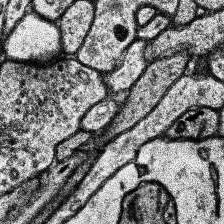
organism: Human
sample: Temporal Lobe